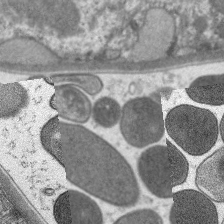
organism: C. elegans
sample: Pharynx